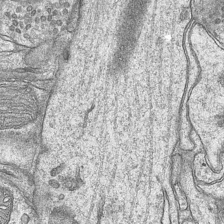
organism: Mouse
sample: CA1 Hippocampus